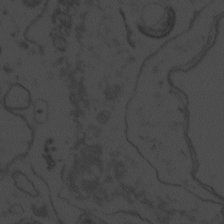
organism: Zebrafish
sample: Macrophage infected with Toxoplasma gondii